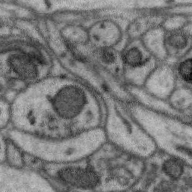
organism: Zebra finch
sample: Brain